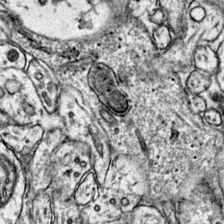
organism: Mouse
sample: Primary visual cortex